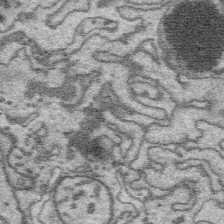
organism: Platynereis dumerilii